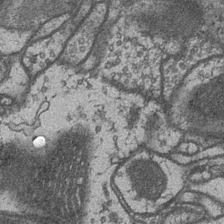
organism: Drosophila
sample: Optic medulla